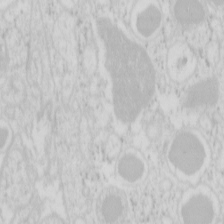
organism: Mouse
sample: Pancreas